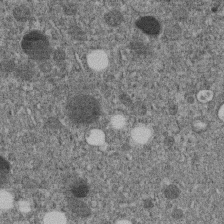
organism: C. elegans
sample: C. elegans embryo early stage